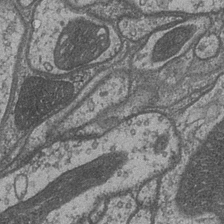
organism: Drosophila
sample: Optic medulla